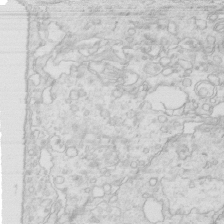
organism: Mouse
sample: Multiciliated cells